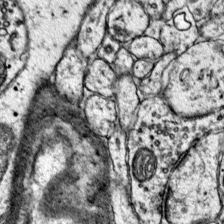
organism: Mouse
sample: Primary visual cortex